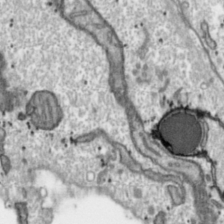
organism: Toxoplasma gondii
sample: Parasites in a vacuole inside a host cell